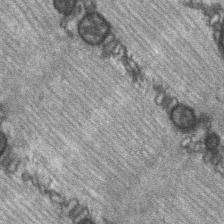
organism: C57BL Mouse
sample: Soleus